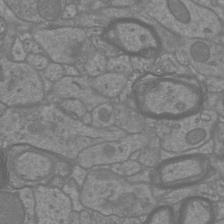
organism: Mouse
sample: Cortical neurons